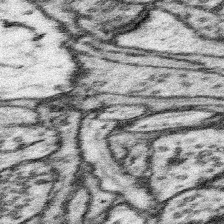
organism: Mouse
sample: Somatosensory cortex neuropil